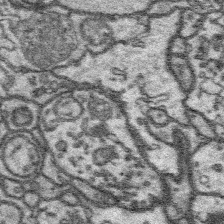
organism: Platynereis dumerilii